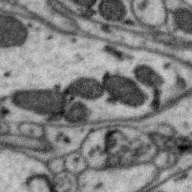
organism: Zebra finch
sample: Brain